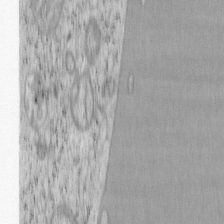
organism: Human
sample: HeLa cells